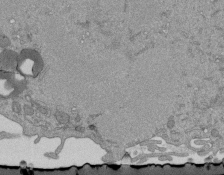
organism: Mouse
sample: ED-1 cell nuclei; centrioles